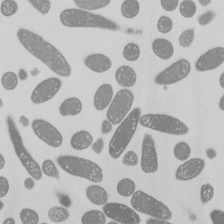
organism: E. coli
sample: Bacterial nucleoid